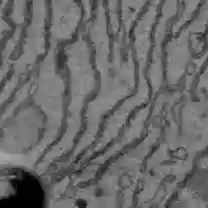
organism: C57BL Mouse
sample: Liver